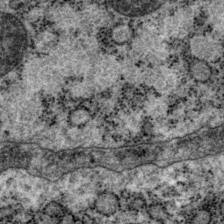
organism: P. pacificus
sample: Pharynx